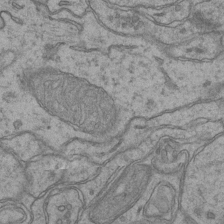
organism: Mouse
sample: CA1 Hippocampus